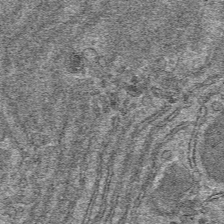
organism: Mouse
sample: Mouse hepatocytes